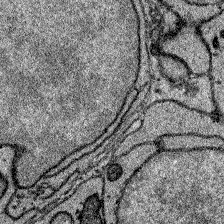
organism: Zebrafish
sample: Larval olfactory bulb